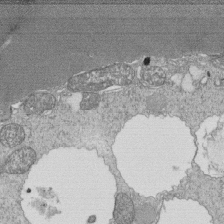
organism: Tetrahymena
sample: Cilia in tetrahymena